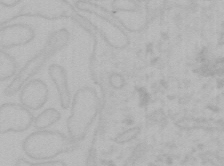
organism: Mouse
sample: Choroid plexus